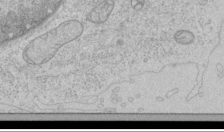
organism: Human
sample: Mitochondria in HCT116 cells